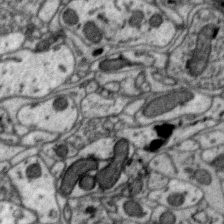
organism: Zebra finch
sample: Brain